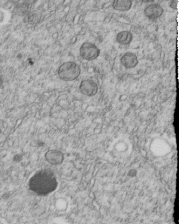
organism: C. elegans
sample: C. elegans embryo early stage